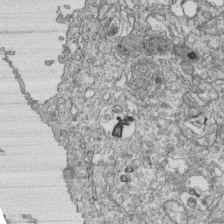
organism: Human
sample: HeLa cell HIV synapse